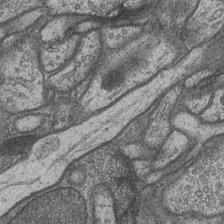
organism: Drosophila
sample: Optic medulla